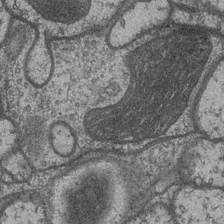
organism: Drosophila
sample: Optic medulla